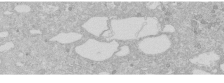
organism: Human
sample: Caco-2 cells